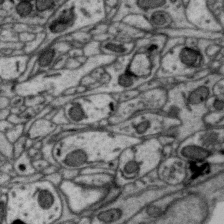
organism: Zebra finch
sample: Brain